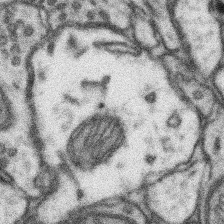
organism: Mouse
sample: Somatosensory cortex neuropil